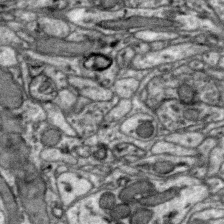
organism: Zebra finch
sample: Brain